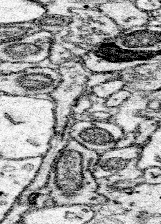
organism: Mouse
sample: Somatosensory cortex neuropil